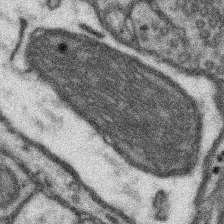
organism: Mouse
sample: Somatosensory cortex neuropil